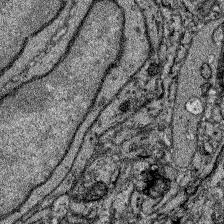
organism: Zebrafish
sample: Larval olfactory bulb